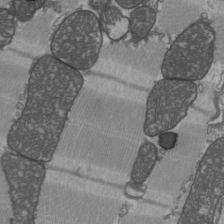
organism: C57BL Mouse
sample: Heart